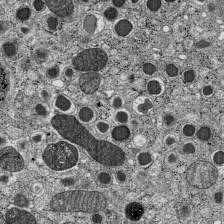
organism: C57BL Mouse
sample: Pancreatic islet